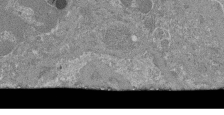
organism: Mouse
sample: Glomerulus